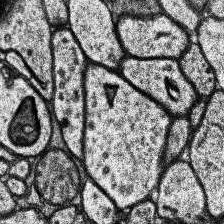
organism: Human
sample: Temporal Lobe